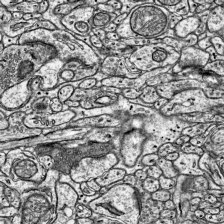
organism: Mouse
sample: Visual Cortex